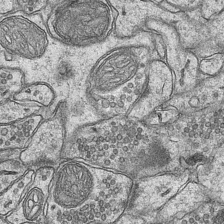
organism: Mouse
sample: CA1 Hippocampus